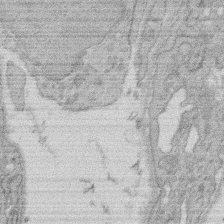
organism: Rat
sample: Salivary granule